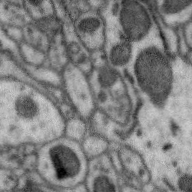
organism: Zebra finch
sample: Brain